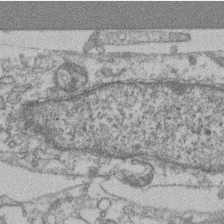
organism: Mouse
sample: T cell stromal cell synapse